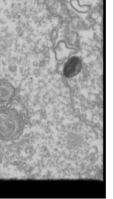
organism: Drosophila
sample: Cell division; meiosis; drosophila spermatocytes